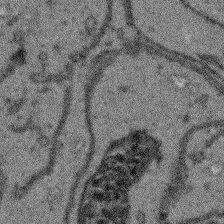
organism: Arabidopsis thaliana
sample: Root tip